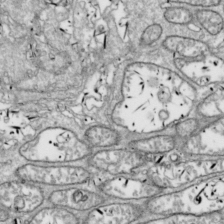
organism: Drosophila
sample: Cell division; meiosis; drosophila spermatocytes